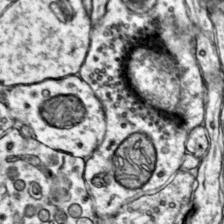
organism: Mouse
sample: Primary visual cortex